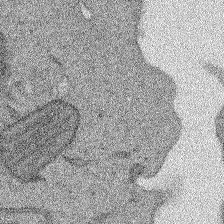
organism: Human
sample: HeLa cells